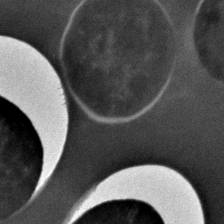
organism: C. elegans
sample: C. elegans embryo